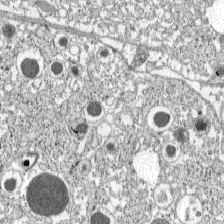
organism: C57BL Mouse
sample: Pancreatic islet